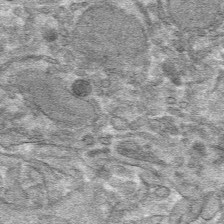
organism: Mouse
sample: Mouse hepatocytes